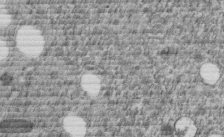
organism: C. elegans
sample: C. elegans embryo early stage